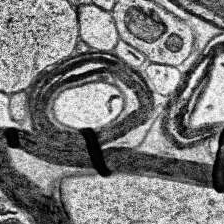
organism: Human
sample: Temporal Lobe